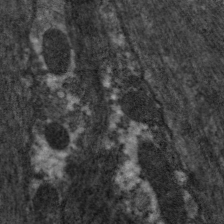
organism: C. elegans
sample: Pharynx